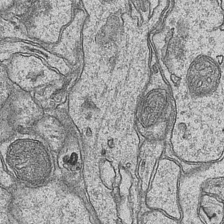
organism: Mouse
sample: CA1 Hippocampus